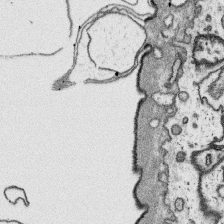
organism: Platynereis dumerilii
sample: Parapodia